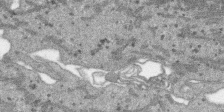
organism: Human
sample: Lung epithelial cells infected with SARS-CoV-2